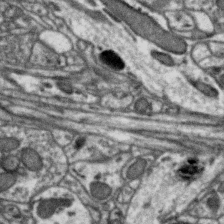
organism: Zebra finch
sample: Brain